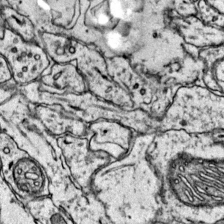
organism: Mouse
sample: Primary visual cortex